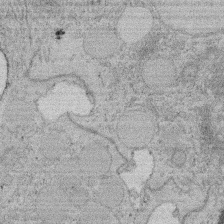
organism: Rat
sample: Salivary granule